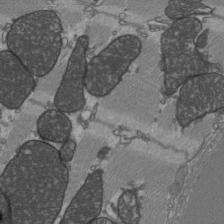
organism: C57BL Mouse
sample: Heart